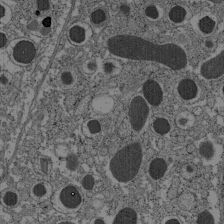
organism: C57BL Mouse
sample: Pancreatic islet